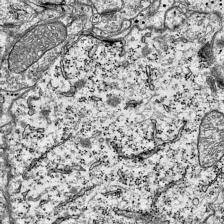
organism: Mouse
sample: Visual Cortex